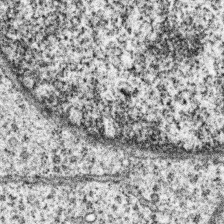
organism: Human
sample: HeLa cells